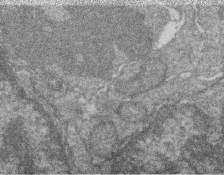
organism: Zebrafish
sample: Cilia; retinal pigment epithelium